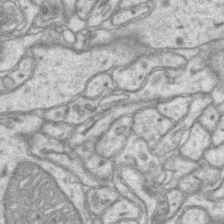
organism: Mouse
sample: CA1 Hippocampus